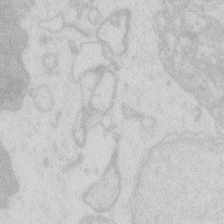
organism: Zebrafish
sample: Macrophage